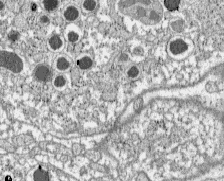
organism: C57BL Mouse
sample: Pancreatic islet